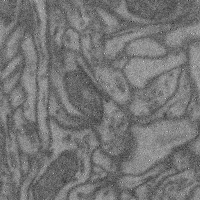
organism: Mouse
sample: Cerebral cortex